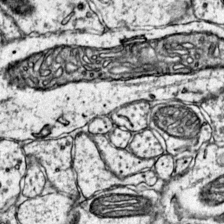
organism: Mouse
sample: Primary visual cortex